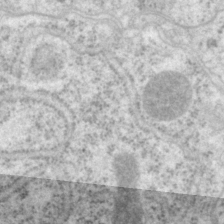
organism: P. pacificus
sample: Pharynx